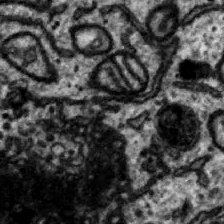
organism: Human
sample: HeLa cells